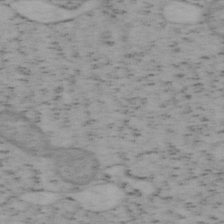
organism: Mouse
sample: OT-I killer T cells with ID8 ovarian cancer cells